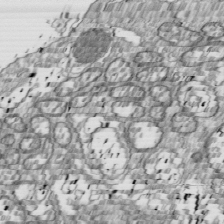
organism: Drosophila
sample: Cell division; meiosis; drosophila spermatocytes